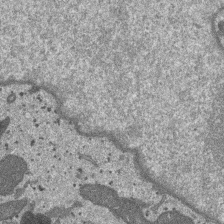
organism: Human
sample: Lung epithelial cells infected with SARS-CoV-2